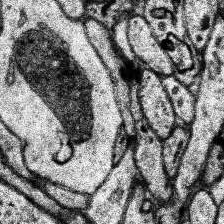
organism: Human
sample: Temporal Lobe